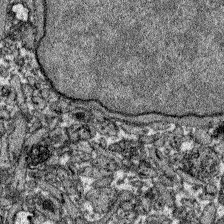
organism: Zebrafish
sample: Larval olfactory bulb